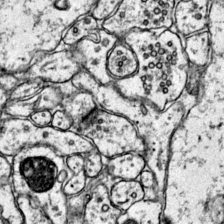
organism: Mouse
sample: Primary visual cortex